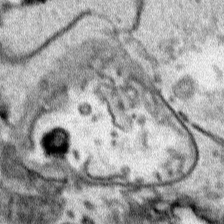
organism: Human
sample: Mitochondria in HCT116 cells